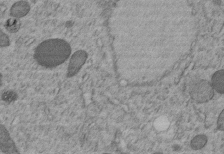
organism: C. elegans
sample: C. elegans embryo early stage